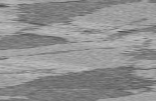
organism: C57BL Mouse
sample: Heart